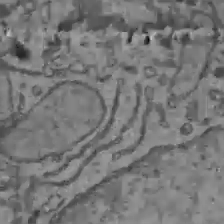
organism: C57BL Mouse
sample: Liver